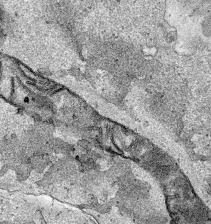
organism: Human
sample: Mitochondria in HCT116 cells